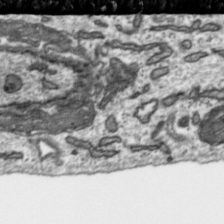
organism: Toxoplasma gondii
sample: Parasites in a vacuole inside a host cell